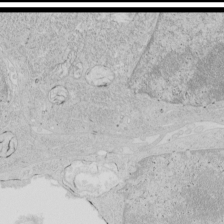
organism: Human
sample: Mitochondria in HCT116 cells